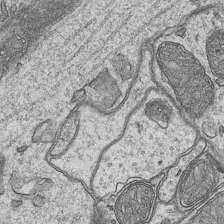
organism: Mouse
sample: CA1 Hippocampus